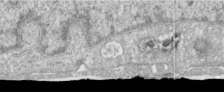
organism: Human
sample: Centriole in RPE cells